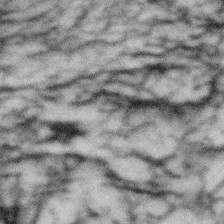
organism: Gemmata obscuriglobus